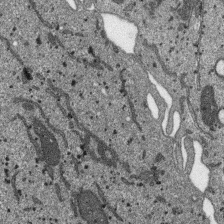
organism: Human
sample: Lung epithelial cells infected with SARS-CoV-2